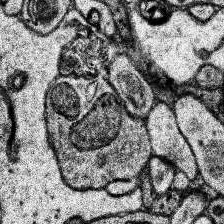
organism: Human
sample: Temporal Lobe